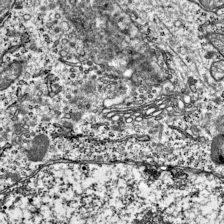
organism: Mouse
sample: Visual Cortex